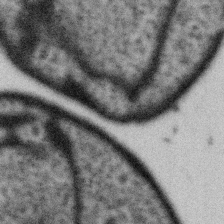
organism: Gemmata obscuriglobus